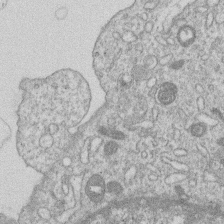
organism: Human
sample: Macrophage cells